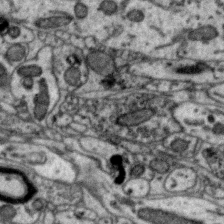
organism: Zebra finch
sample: Brain